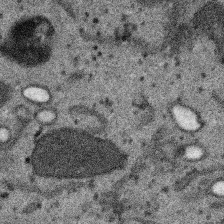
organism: Human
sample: Lung epithelial cells infected with SARS-CoV-2